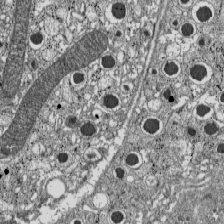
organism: C57BL Mouse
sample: Pancreatic islet